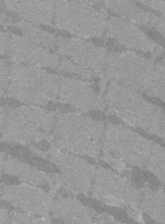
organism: C57BL Mouse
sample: Tibialis anterior muscle cell